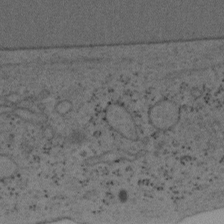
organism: Human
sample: HeLa cells